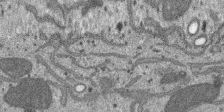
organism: Human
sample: Lung epithelial cells infected with SARS-CoV-2